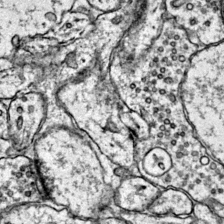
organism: Mouse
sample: Primary visual cortex